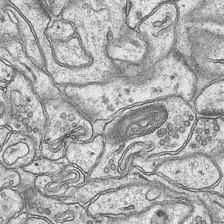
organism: Mouse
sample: CA1 Hippocampus